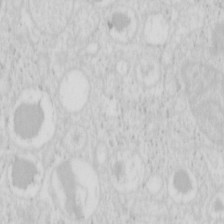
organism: Mouse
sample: Pancreas